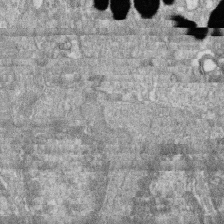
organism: Zebrafish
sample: Cilia; retinal pigment epithelium